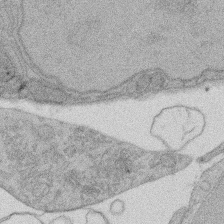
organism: Rat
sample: Salivary granule